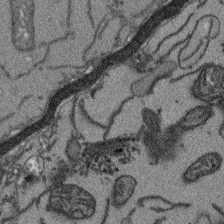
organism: Arabidopsis thaliana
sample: Root tip